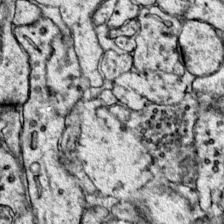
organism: Mouse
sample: Primary visual cortex